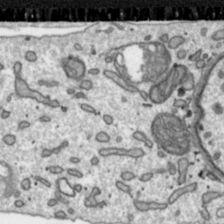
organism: Toxoplasma gondii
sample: Parasites in a vacuole inside a host cell